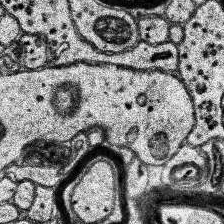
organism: Human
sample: Temporal Lobe